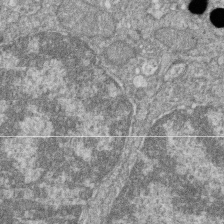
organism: Zebrafish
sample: Cilia; retinal pigment epithelium